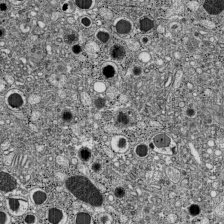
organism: C57BL Mouse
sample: Pancreatic islet